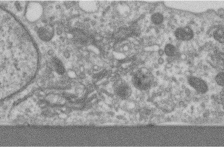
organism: Human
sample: Centriole in RPE cells